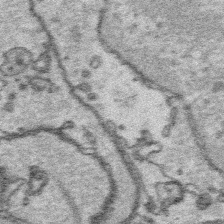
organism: Platynereis dumerilii